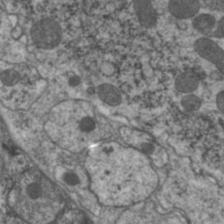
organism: C. elegans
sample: Pharynx